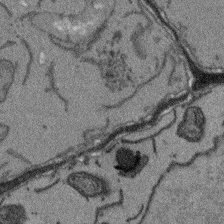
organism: Arabidopsis thaliana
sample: Root tip